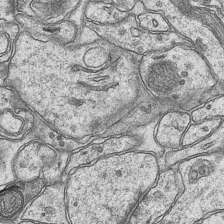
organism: Mouse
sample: CA1 Hippocampus